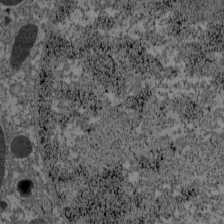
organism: C57BL Mouse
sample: Pancreatic islet